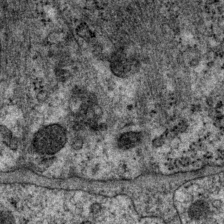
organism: P. pacificus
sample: Pharynx